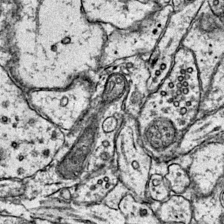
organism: Mouse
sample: Primary visual cortex